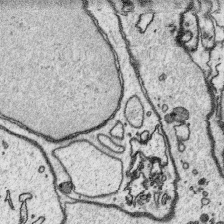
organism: Platynereis dumerilii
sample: Parapodia